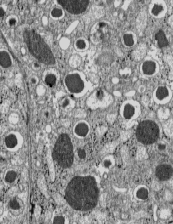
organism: C57BL Mouse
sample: Pancreatic islet